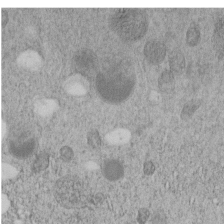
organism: C. elegans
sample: C. elegans embryo early stage